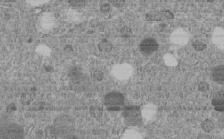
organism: C. elegans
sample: C. elegans embryo early stage